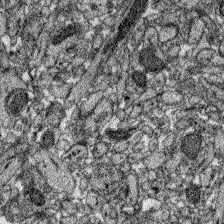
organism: Zebrafish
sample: Larval olfactory bulb